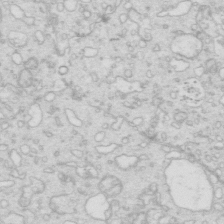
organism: Mouse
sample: Multiciliated cells